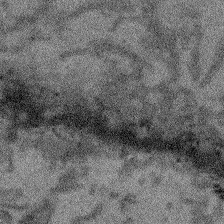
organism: Arabidopsis thaliana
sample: Root tip